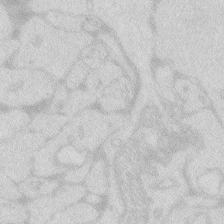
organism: Zebrafish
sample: Macrophage